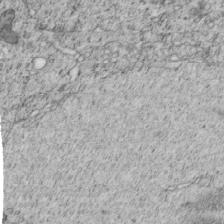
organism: C. elegans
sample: C. elegans embryo early stage